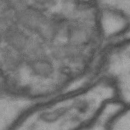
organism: Drosophila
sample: Brain